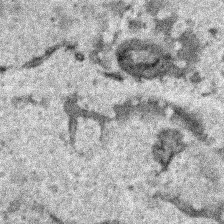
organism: Human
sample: Mitochondria in HCT116 cells